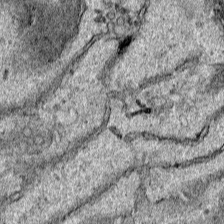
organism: Human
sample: Mitochondria in HCT116 cells